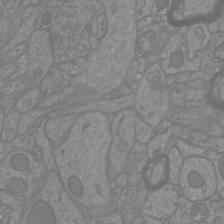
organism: Mouse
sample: Cortical neurons